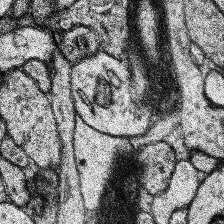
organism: Human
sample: Temporal Lobe